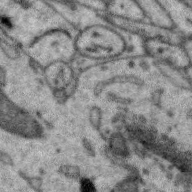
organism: Zebra finch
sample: Brain